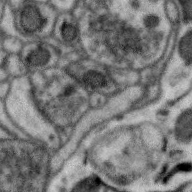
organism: Zebra finch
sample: Brain